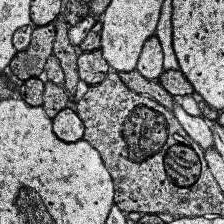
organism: Human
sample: Temporal Lobe